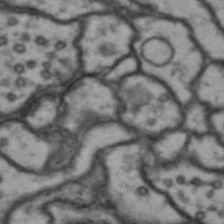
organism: Drosophila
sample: Brain